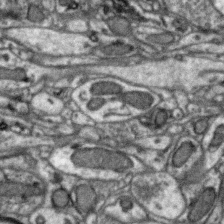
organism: Zebra finch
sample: Brain